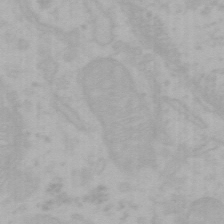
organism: Mouse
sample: Choroid plexus